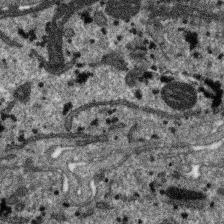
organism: Human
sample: Lung epithelial cells infected with SARS-CoV-2